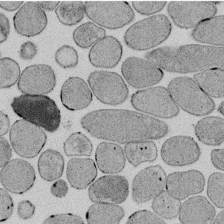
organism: E. coli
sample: Bacterial nucleoid